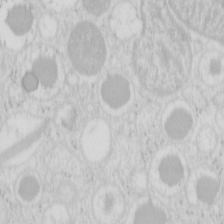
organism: Mouse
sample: Pancreas